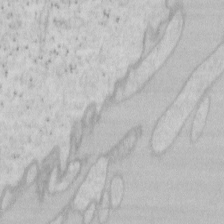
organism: Human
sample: HeLa cells